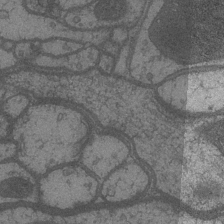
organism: Drosophila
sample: Optic medulla